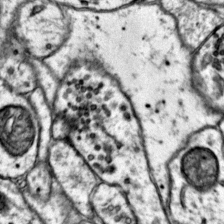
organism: Mouse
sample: Primary visual cortex